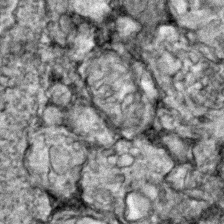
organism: Zebrafish